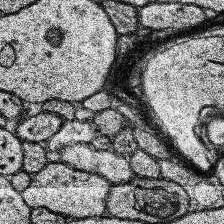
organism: Human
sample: Temporal Lobe